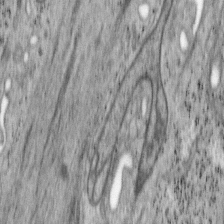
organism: Human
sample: HeLa cells